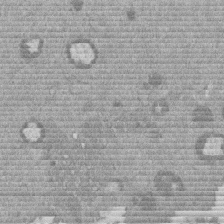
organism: Mouse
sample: Dividing mouse embryo 1 cell stage